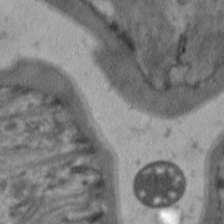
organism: C. elegans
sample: Pharynx